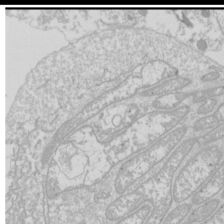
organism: Drosophila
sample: Cell division; meiosis; drosophila spermatocytes